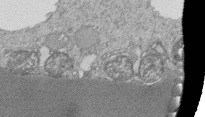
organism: Tetrahymena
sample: Cilia in tetrahymena